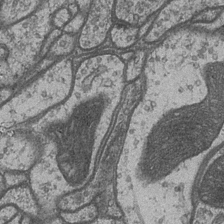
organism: Drosophila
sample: Optic medulla